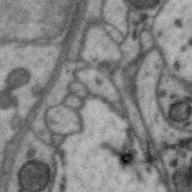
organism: Zebra finch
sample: Brain